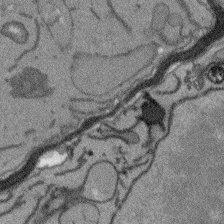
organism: Arabidopsis thaliana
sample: Root tip